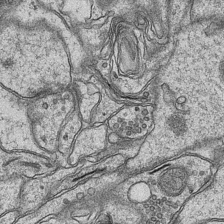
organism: Mouse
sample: CA1 Hippocampus